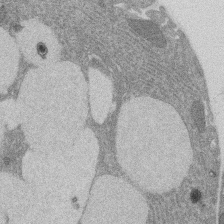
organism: Rat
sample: Salivary granule